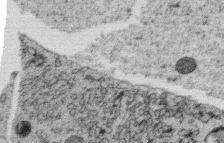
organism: C. elegans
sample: C. elegans oocyte; sperm cells